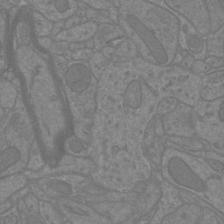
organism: Mouse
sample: Cortical neurons